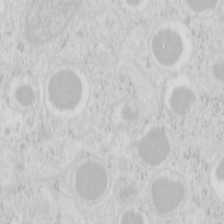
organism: Mouse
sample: Pancreas